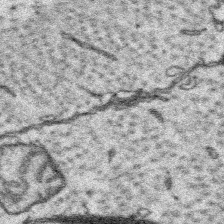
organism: Platynereis dumerilii